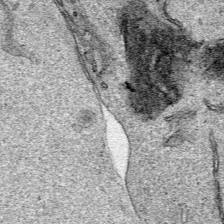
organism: Human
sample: Mitochondria in HCT116 cells